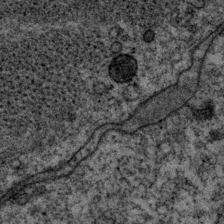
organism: P. pacificus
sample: Pharynx